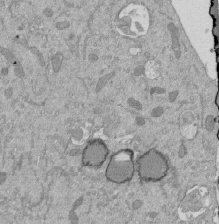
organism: Mouse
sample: ED-1 cell nuclei; centrioles